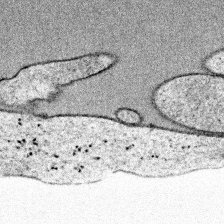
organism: Human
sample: HeLa cells